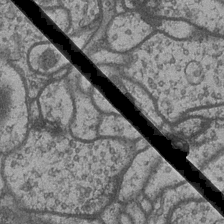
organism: Drosophila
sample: Optic medulla